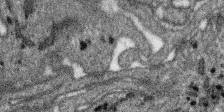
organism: Human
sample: Lung epithelial cells infected with SARS-CoV-2